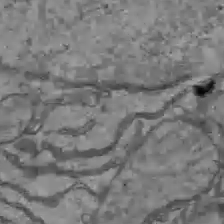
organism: C57BL Mouse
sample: Liver